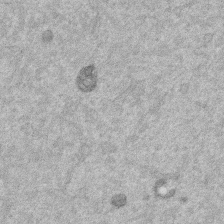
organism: Mouse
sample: Dividing mouse embryo 1 cell stage